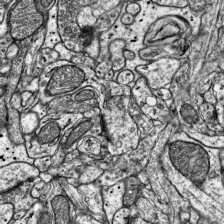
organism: Mouse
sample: Visual Cortex